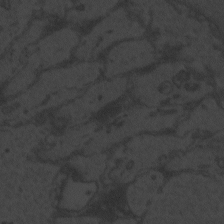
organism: Zebrafish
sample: Macrophage infected with Toxoplasma gondii